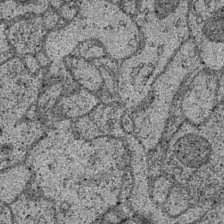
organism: Drosophila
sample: Optic medulla